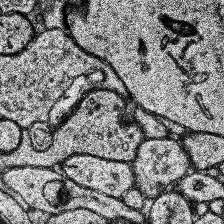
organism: Human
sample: Temporal Lobe